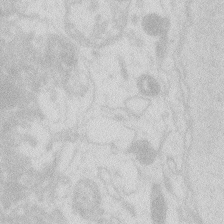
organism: Zebrafish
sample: Macrophage